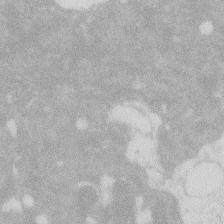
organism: Zebrafish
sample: Macrophage